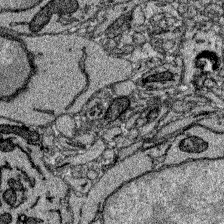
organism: Zebrafish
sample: Larval olfactory bulb